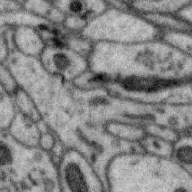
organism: Zebra finch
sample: Brain